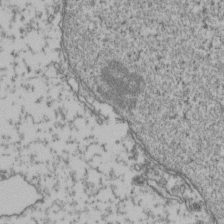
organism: Human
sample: Activated Jurkat CD4+ T cells